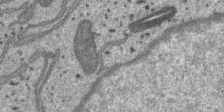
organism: Human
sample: Lung epithelial cells infected with SARS-CoV-2